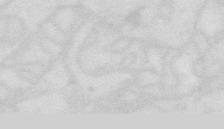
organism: Human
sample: HeLa cells